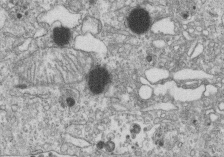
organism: Human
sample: HeLa cell HIV synapse